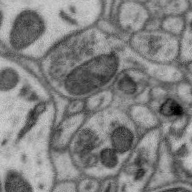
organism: Zebra finch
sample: Brain